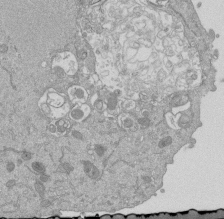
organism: Mouse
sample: ED-1 cell nuclei; centrioles